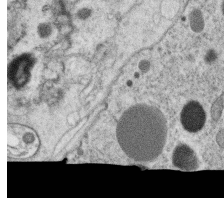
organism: C. elegans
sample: C. elegans oocyte; sperm cells